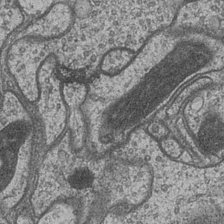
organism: Drosophila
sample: Optic medulla